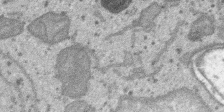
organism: Human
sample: Lung epithelial cells infected with SARS-CoV-2